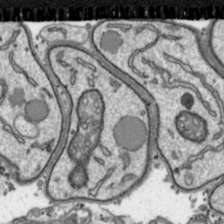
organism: Toxoplasma gondii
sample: Parasites in a vacuole inside a host cell